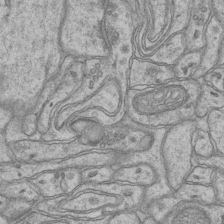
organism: Mouse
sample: CA1 Hippocampus